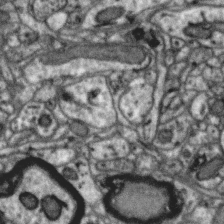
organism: Zebra finch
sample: Brain